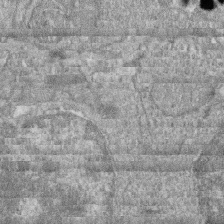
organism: Zebrafish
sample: Cilia; retinal pigment epithelium